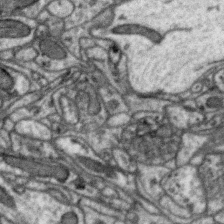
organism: Zebra finch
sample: Brain